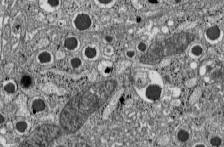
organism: C57BL Mouse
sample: Pancreatic islet